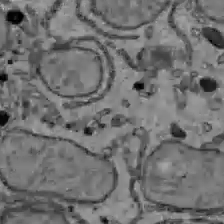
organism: C57BL Mouse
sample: Liver